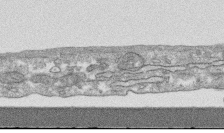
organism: Human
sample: CRL-1474